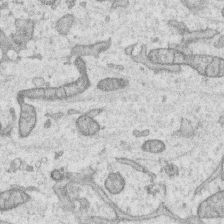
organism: Human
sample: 1205lu cells